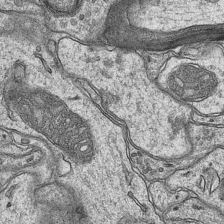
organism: Mouse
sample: CA1 Hippocampus